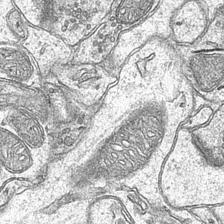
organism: Mouse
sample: CA1 Hippocampus